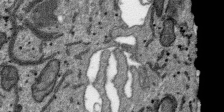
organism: Human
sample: Lung epithelial cells, uninfected (mock) control